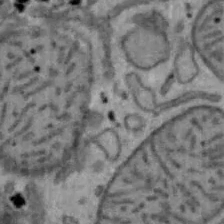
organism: Mouse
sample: Liver